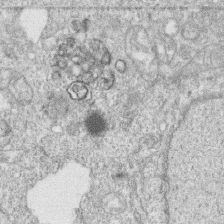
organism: Human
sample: HeLa cell HIV synapse